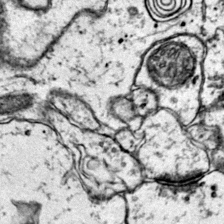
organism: Mouse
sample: Primary visual cortex